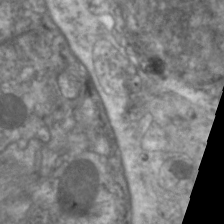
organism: C. elegans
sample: Pharynx